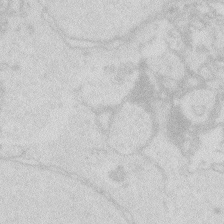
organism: Zebrafish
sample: Macrophage